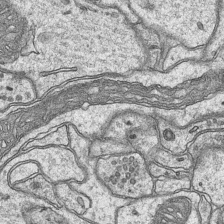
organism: Mouse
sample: CA1 Hippocampus